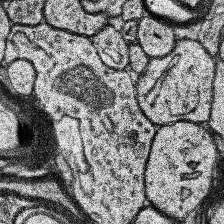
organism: Human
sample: Temporal Lobe